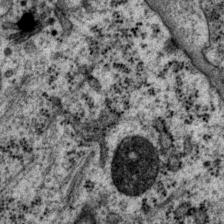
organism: P. pacificus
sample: Pharynx